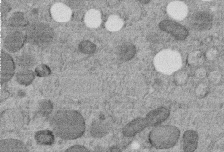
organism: C. elegans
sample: C. elegans embryo early stage